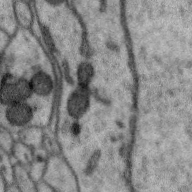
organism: Zebra finch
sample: Brain